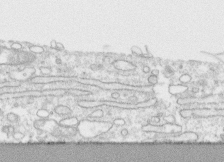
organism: Human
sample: CRL-1474